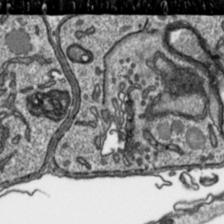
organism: Toxoplasma gondii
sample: Parasites in a vacuole inside a host cell